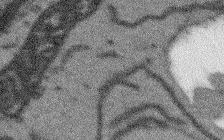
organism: Arabidopsis thaliana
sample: Root tip